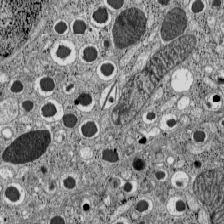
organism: C57BL Mouse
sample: Pancreatic islet